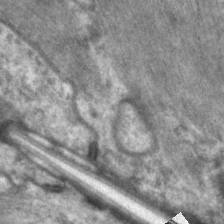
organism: C. elegans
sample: Pharynx